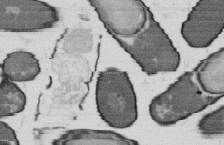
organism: B. subtilis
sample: Bacterial spore